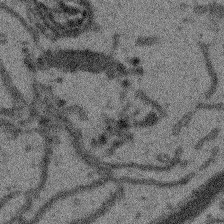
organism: Arabidopsis thaliana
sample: Root tip